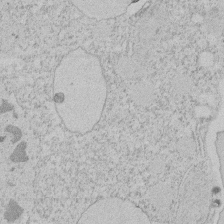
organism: Tetrahymena